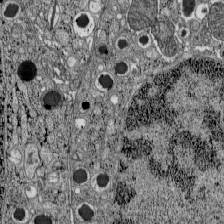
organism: C57BL Mouse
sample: Pancreatic islet